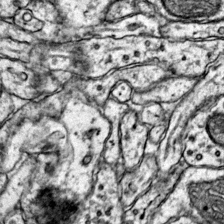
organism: Mouse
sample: Primary visual cortex